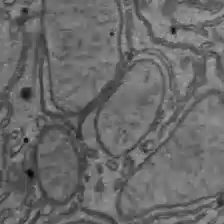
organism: C57BL Mouse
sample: Liver